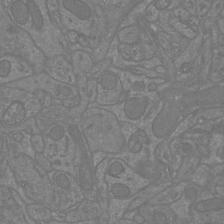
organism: Mouse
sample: Cortical neurons